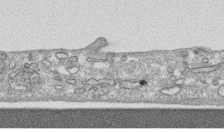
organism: Human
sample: CRL-1474